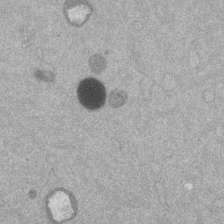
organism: Mouse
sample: Dividing mouse embryo 1 cell stage